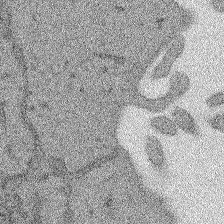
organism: Human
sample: HeLa cells